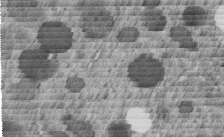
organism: C. elegans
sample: C. elegans embryo early stage